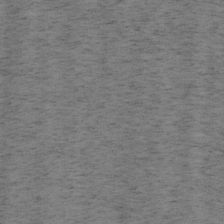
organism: Mouse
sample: OT-I killer T cells with ID8 ovarian cancer cells